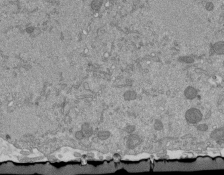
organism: Mouse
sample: ED-1 cell nuclei; centrioles